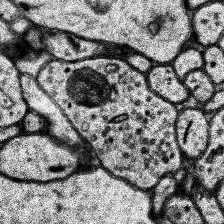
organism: Human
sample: Temporal Lobe